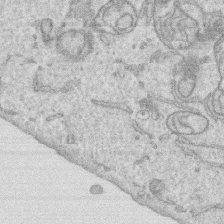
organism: Human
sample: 1205lu cells